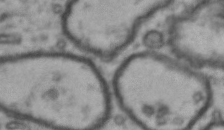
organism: Drosophila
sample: Brain